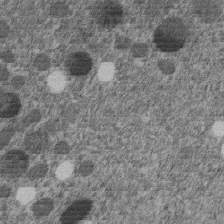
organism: C. elegans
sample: C. elegans embryo early stage